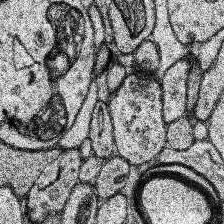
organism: Human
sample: Temporal Lobe